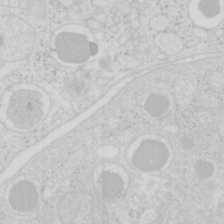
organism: Mouse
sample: Pancreas